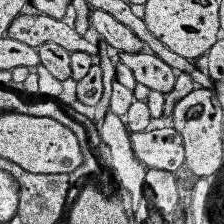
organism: Human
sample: Temporal Lobe